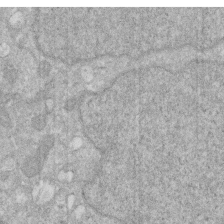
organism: Human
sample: HIV infected U937 cells